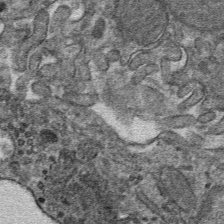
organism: Mouse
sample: Mouse hepatocytes